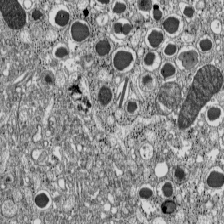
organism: C57BL Mouse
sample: Pancreatic islet